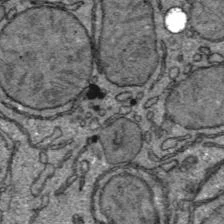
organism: C57BL Mouse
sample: Liver